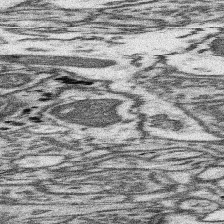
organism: Mouse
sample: Somatosensory cortex neuropil